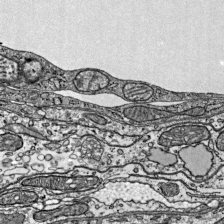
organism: Mouse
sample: Visual Cortex